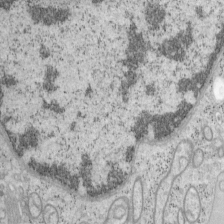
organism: Mouse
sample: OT-I killer T cells with ID8 ovarian cancer cells